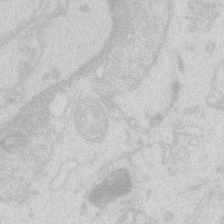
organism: Zebrafish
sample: Macrophage